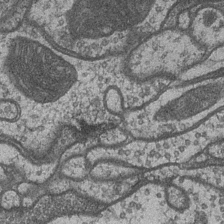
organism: Drosophila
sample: Optic medulla